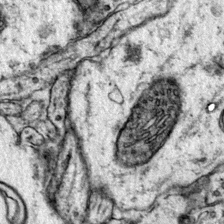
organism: Mouse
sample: Primary visual cortex